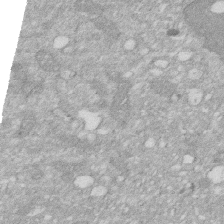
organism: Human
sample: HIV infected U937 cells